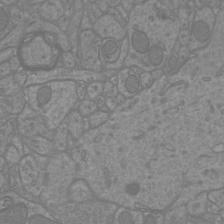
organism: Mouse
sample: Cortical neurons